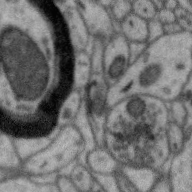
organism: Zebra finch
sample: Brain